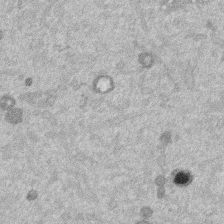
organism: Mouse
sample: Dividing mouse embryo 1 cell stage